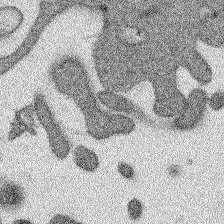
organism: Human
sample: HeLa cells